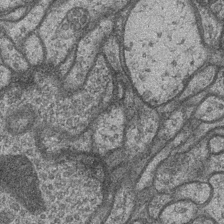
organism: Drosophila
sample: Optic medulla